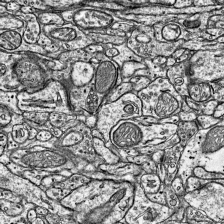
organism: Mouse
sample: Visual Cortex